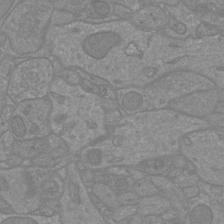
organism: Mouse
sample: Cortical neurons